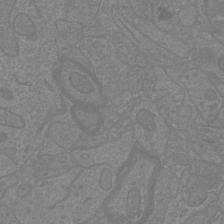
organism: Mouse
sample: Cortical neurons